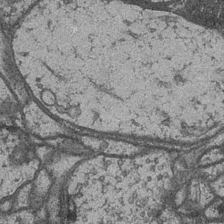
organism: Drosophila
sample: Optic medulla